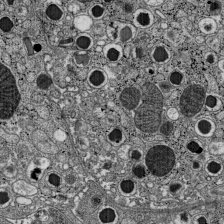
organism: C57BL Mouse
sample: Pancreatic islet